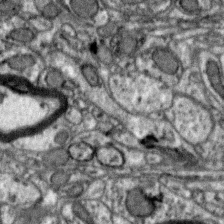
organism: Zebra finch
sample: Brain